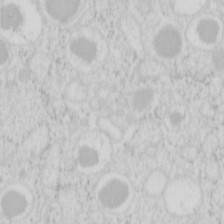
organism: Mouse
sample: Pancreas